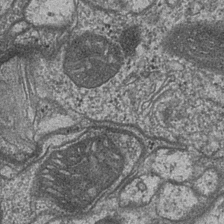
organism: Drosophila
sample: Optic medulla